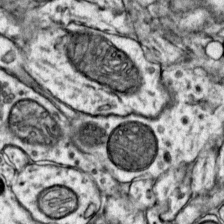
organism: Mouse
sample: Primary visual cortex